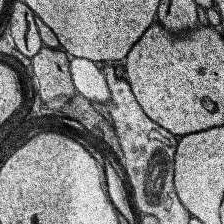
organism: Human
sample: Temporal Lobe